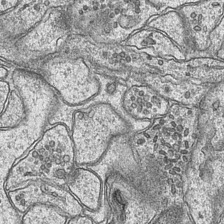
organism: Mouse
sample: CA1 Hippocampus